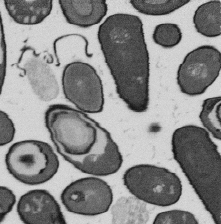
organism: B. subtilis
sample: Bacterial spore